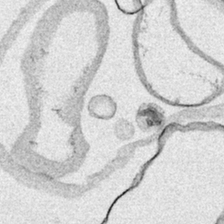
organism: Human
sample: Mitochondria in HCT116 cells